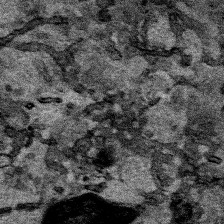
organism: Human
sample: Mitochondria in HCT116 cells